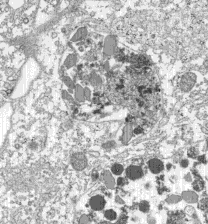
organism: C57BL Mouse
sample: Pancreatic islet